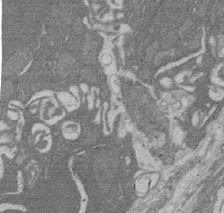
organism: Rat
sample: Salivary granule